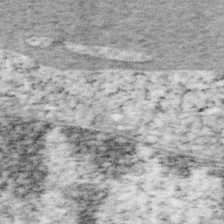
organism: Mouse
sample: OT-I killer T cells with ID8 ovarian cancer cells